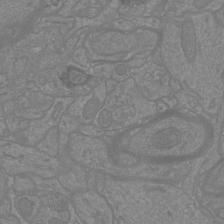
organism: Mouse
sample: Cortical neurons